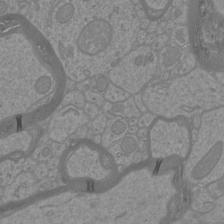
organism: Mouse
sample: Cortical neurons